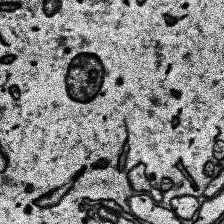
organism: Human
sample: Temporal Lobe